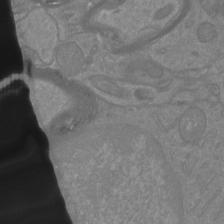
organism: Mouse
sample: Cortical neurons